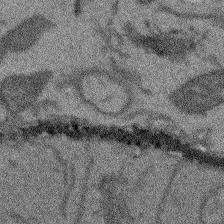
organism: Arabidopsis thaliana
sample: Root tip